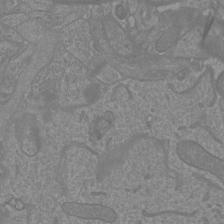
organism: Mouse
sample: Cortical neurons